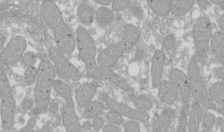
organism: Xenopus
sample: Cilia; centrioles in frog embryo cells